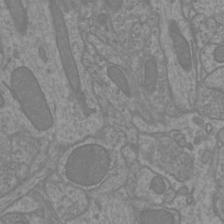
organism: Mouse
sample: Cortical neurons